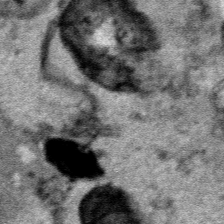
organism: Human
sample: Mitochondria in HCT116 cells